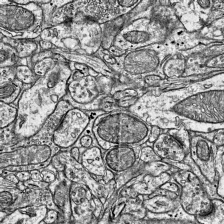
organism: Mouse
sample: Visual Cortex